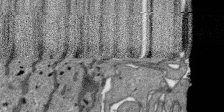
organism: Human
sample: Lung epithelial cells, uninfected (mock) control